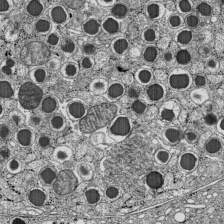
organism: C57BL Mouse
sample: Pancreatic islet